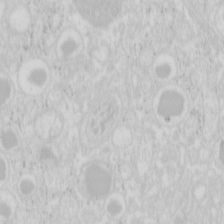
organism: Mouse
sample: Pancreas